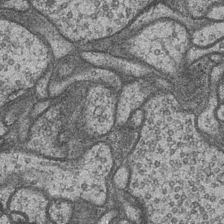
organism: Drosophila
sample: Optic medulla